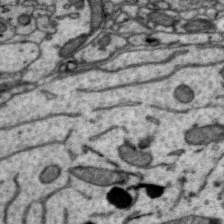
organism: Zebra finch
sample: Brain